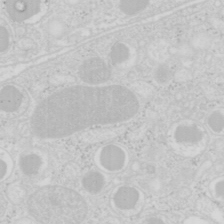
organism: Mouse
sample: Pancreas